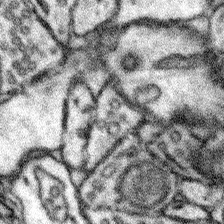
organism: Mouse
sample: Somatosensory cortex neuropil